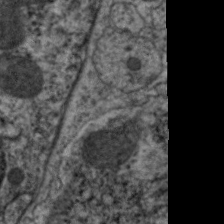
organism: C. elegans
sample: Pharynx